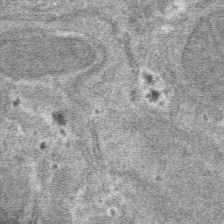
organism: Mouse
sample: Mouse hepatocytes